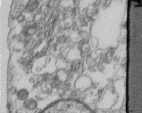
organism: Human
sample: Centriole in fibroblast cells